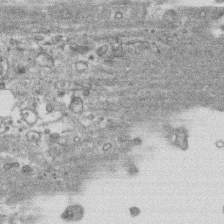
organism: Human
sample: CRL-1474